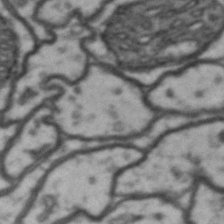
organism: Drosophila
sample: Brain